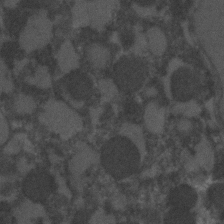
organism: C. elegans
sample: C. elegans embryo